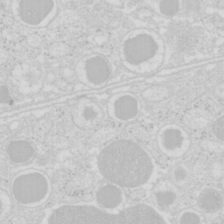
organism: Mouse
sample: Pancreas